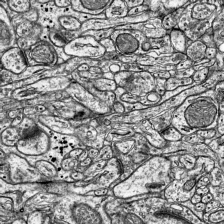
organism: Mouse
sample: Visual Cortex